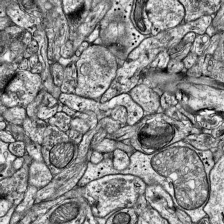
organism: Mouse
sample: Visual Cortex